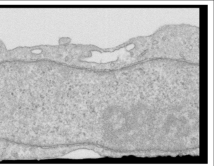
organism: Human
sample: Centriole in RPE cells